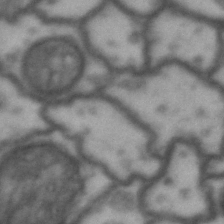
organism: Drosophila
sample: Brain